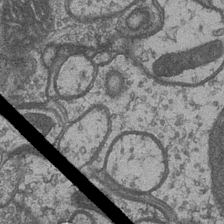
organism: Drosophila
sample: Optic medulla